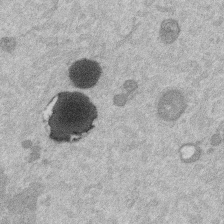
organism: Mouse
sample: Dividing mouse embryo 1 cell stage